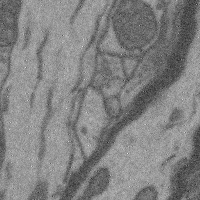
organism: Mouse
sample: Cerebral cortex